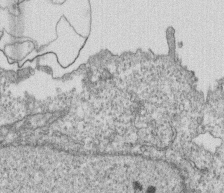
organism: Human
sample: HeLa cell HIV synapse